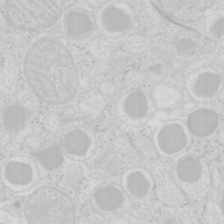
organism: Mouse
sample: Pancreas